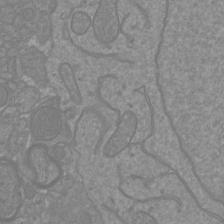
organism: Mouse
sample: Cortical neurons